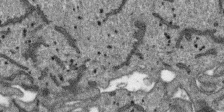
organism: Human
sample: Lung epithelial cells, uninfected (mock) control